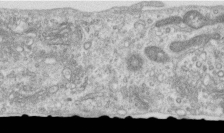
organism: Human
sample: Centriole in RPE cells